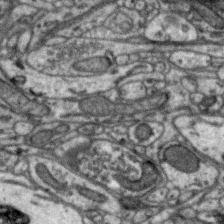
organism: Zebra finch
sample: Brain